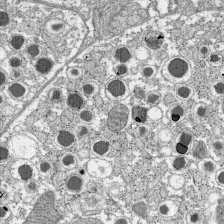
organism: C57BL Mouse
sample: Pancreatic islet